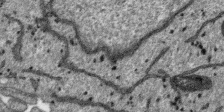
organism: Human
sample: Lung epithelial cells, uninfected (mock) control